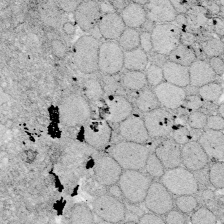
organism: Zebrafish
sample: Whole-Brain